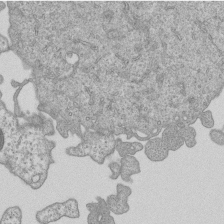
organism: Human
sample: MDA-MB-231 cells